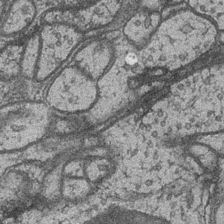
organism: Drosophila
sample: Optic medulla